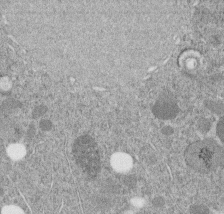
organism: C. elegans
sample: C. elegans embryo early stage